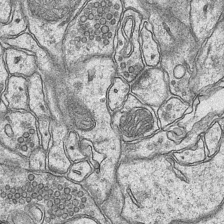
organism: Mouse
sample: CA1 Hippocampus